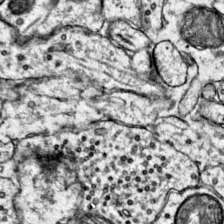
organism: Mouse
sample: Primary visual cortex